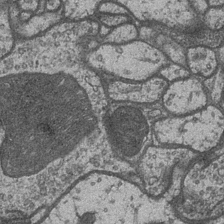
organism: Drosophila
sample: Optic medulla